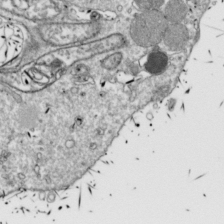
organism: Drosophila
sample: Cell division; meiosis; drosophila spermatocytes